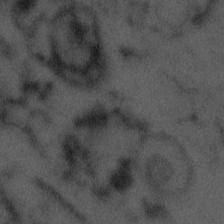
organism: Tuwongella immobilis